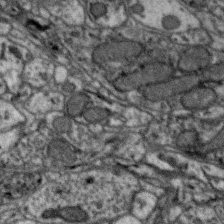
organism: Zebra finch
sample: Brain